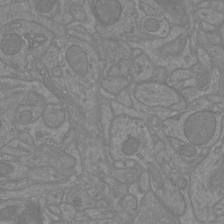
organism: Mouse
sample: Cortical neurons